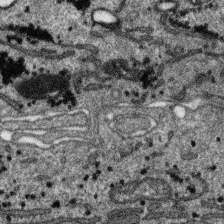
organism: Human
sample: Lung epithelial cells infected with SARS-CoV-2